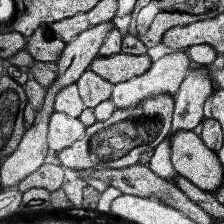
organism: Human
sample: Temporal Lobe